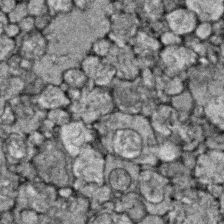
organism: Zebrafish